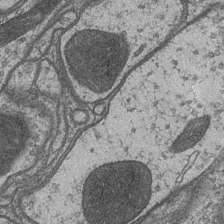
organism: Drosophila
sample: Optic medulla